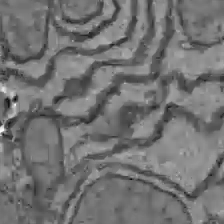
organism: C57BL Mouse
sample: Liver